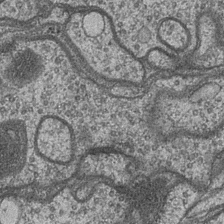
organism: Drosophila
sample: Optic medulla